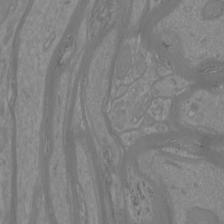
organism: Mouse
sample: Cortical neurons